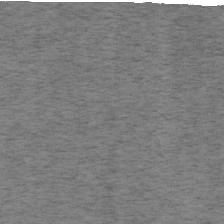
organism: Mouse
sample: OT-I killer T cells with ID8 ovarian cancer cells